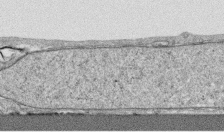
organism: Human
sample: CRL-1474